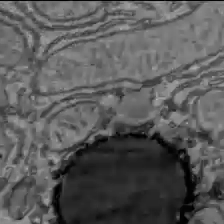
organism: C57BL Mouse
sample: Liver